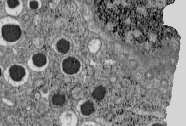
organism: C57BL Mouse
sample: Pancreatic islet